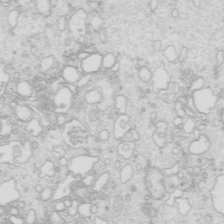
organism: Mouse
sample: Multiciliated cells